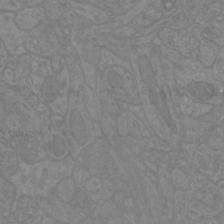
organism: Mouse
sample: Cortical neurons